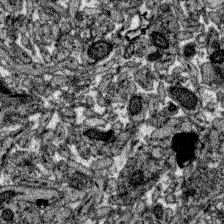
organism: Zebrafish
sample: Larval olfactory bulb